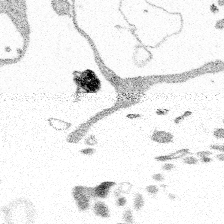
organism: Spongilla lacustris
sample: Multiple